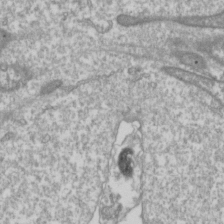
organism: Drosophila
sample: Cell division; meiosis; drosophila spermatocytes